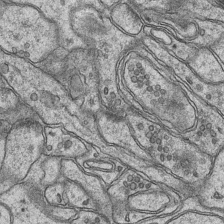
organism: Mouse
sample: CA1 Hippocampus